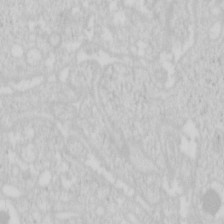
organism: Mouse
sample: Pancreas